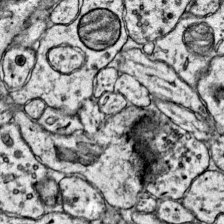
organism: Mouse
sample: Primary visual cortex